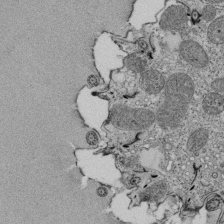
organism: Tetrahymena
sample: Cilia in tetrahymena